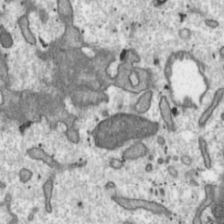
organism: Toxoplasma gondii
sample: Parasites in a vacuole inside a host cell